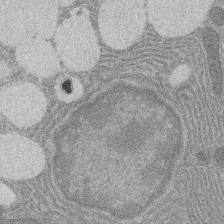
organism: Rat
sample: Salivary granule